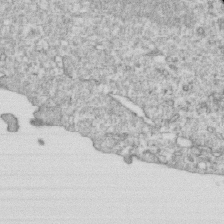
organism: Mouse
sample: Activated OT-1 CD8+ T cells